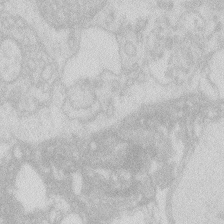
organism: Zebrafish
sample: Macrophage